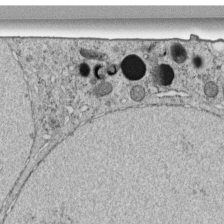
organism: C. elegans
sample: C. elegans embryo early stage